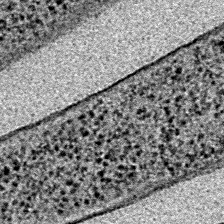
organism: E. coli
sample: E. Coli Bacteria